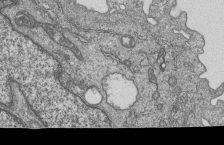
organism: Human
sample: MDA-MB-231 cells